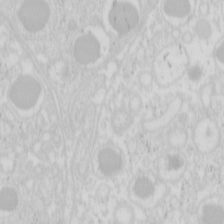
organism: Mouse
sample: Pancreas